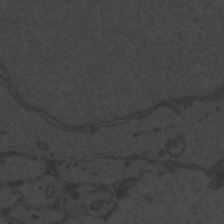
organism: Zebrafish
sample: Macrophage infected with Toxoplasma gondii